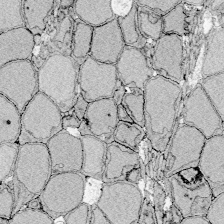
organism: Zebrafish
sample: Whole-Brain